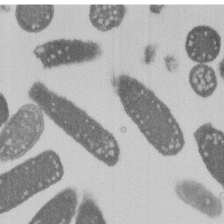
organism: E. coli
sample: Bacterial nucleoid